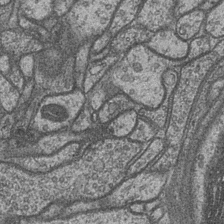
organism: Drosophila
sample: Optic medulla